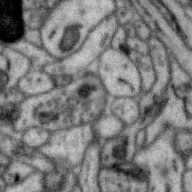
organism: Zebra finch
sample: Brain